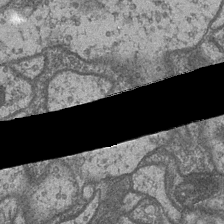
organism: Drosophila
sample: Optic medulla